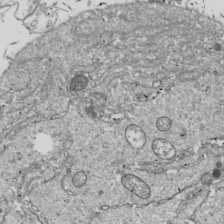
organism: Drosophila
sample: Cell division; meiosis; drosophila spermatocytes